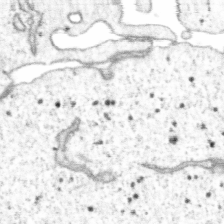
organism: Human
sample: HeLa cells